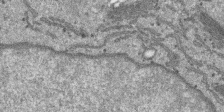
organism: Human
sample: Lung epithelial cells infected with SARS-CoV-2